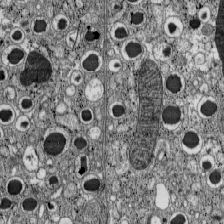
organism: C57BL Mouse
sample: Pancreatic islet